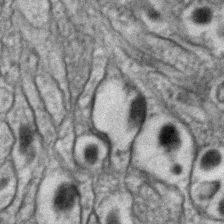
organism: C. elegans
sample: C. elegans embryo